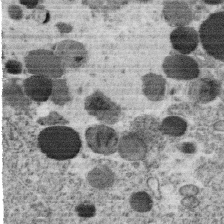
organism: C. elegans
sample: C. elegans oocyte; sperm cells